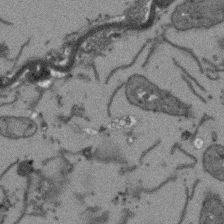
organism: Arabidopsis thaliana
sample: Root tip